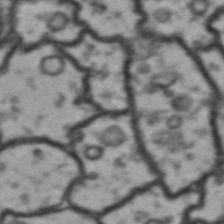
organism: Drosophila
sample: Brain